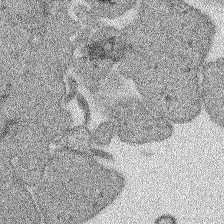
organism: Human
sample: HeLa cells